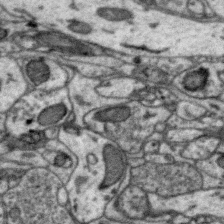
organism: Zebra finch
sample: Brain